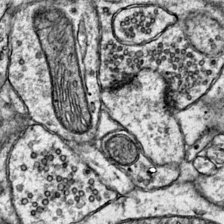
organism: Mouse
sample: Primary visual cortex